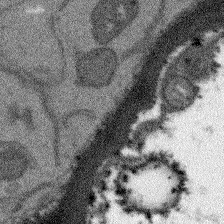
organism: Arabidopsis thaliana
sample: Root tip